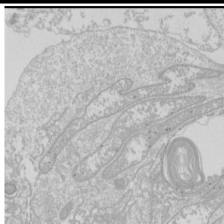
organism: Drosophila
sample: Cell division; meiosis; drosophila spermatocytes